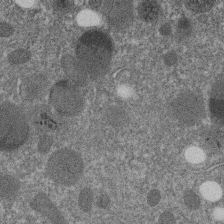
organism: C. elegans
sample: C. elegans embryo early stage